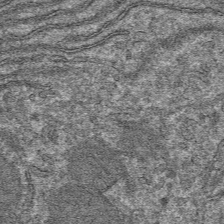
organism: Mouse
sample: Mouse hepatocytes